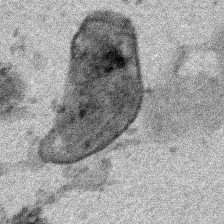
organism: Human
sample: Mitochondria in HCT116 cells